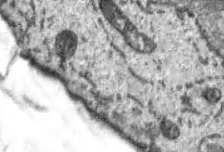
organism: Human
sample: HeLa cells